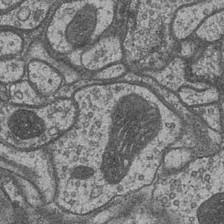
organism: Drosophila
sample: Optic medulla